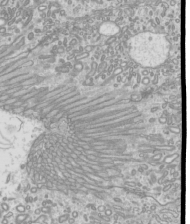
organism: Mouse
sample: Cilia; mouse epididymis